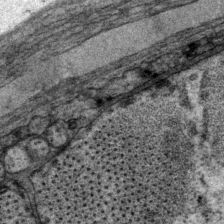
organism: P. pacificus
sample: Pharynx